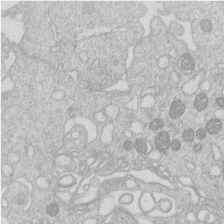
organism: Human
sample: Macrophage cells